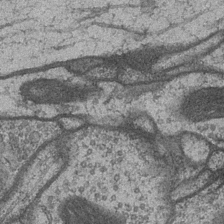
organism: Drosophila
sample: Optic medulla